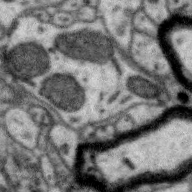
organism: Zebra finch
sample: Brain